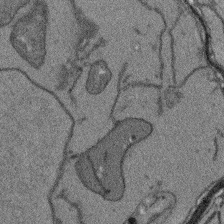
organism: Arabidopsis thaliana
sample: Root tip